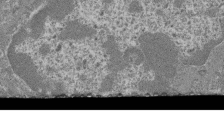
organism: Mouse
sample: Glomerulus